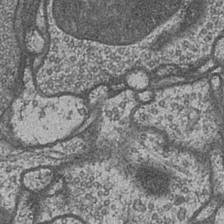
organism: Drosophila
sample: Optic medulla